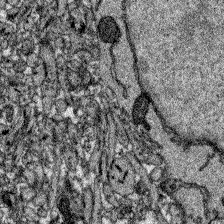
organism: Zebrafish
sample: Larval olfactory bulb